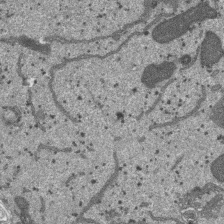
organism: Human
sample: Lung epithelial cells infected with SARS-CoV-2